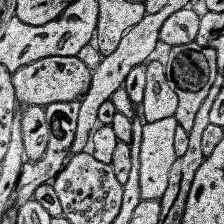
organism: Human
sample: Temporal Lobe